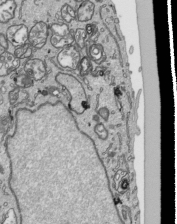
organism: Human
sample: Mitochondria in HCT116 cells